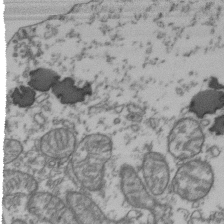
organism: Human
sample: Activated Jurkat CD4+ T cells